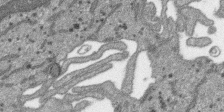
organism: Human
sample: Lung epithelial cells infected with SARS-CoV-2